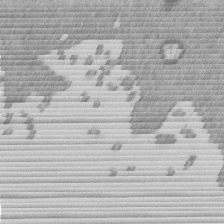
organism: Mouse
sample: Dividing mouse embryo 1 cell stage